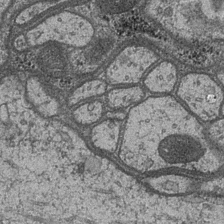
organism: Drosophila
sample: Optic medulla